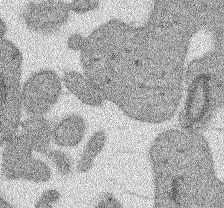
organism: Human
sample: HeLa cells